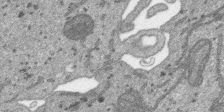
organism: Human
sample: Lung epithelial cells infected with SARS-CoV-2